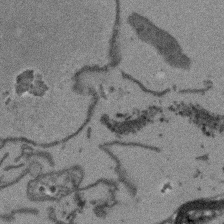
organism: Arabidopsis thaliana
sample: Root tip